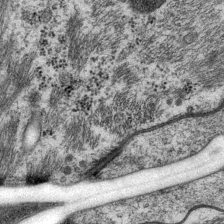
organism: P. pacificus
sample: Pharynx